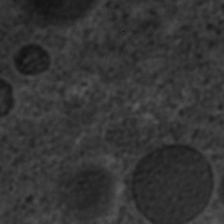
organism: C. elegans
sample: C. elegans embryo